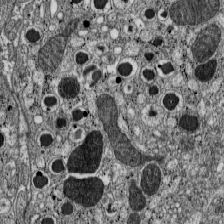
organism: C57BL Mouse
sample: Pancreatic islet